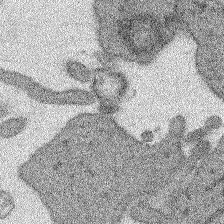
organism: Human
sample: HeLa cells